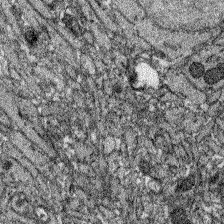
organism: Zebrafish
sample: Larval olfactory bulb